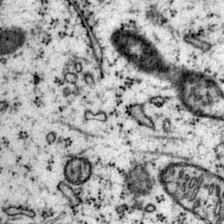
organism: Mouse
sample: Primary visual cortex